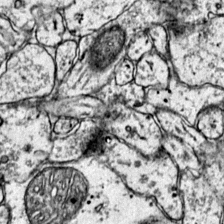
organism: Mouse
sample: Primary visual cortex